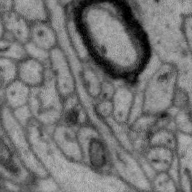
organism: Zebra finch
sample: Brain